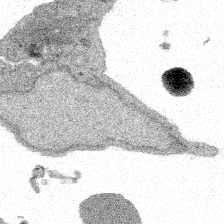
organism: Spongilla lacustris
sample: Multiple